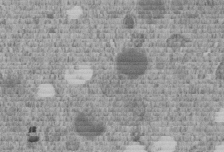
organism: C. elegans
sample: C. elegans embryo early stage